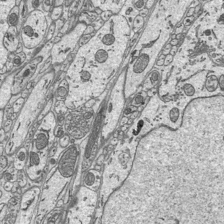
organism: Mouse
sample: Suprachiasmatic nucleus